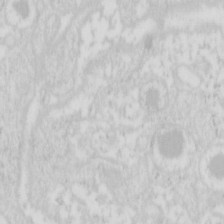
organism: Mouse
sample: Pancreas